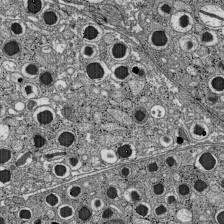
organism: C57BL Mouse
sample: Pancreatic islet